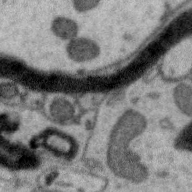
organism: Zebra finch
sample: Brain